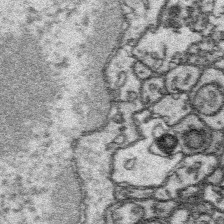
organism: Platynereis dumerilii